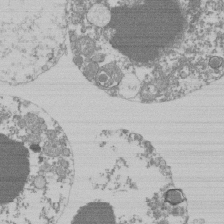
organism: Mouse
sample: Activated Pmel transgenic CD8+ T Cells